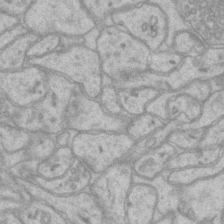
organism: Mouse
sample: CA1 Hippocampus